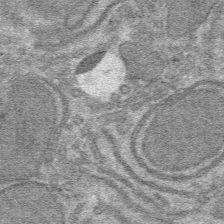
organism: Mouse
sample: Mouse hepatocytes